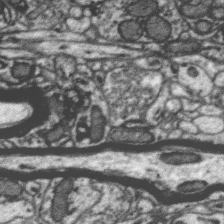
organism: Zebra finch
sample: Brain